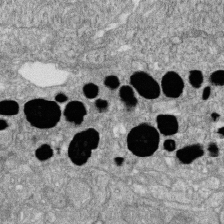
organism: Zebrafish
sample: Cilia; retinal pigment epithelium